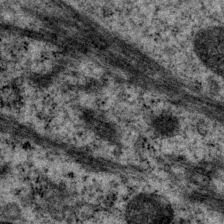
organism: P. pacificus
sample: Pharynx